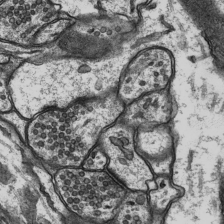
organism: Rat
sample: Hippocampus